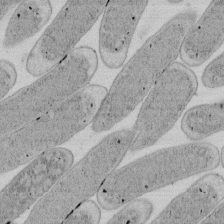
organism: E. coli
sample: Bacterial nucleoid